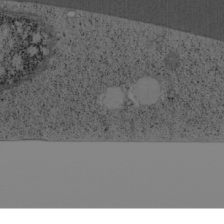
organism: African green monkey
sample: COS-7 cells